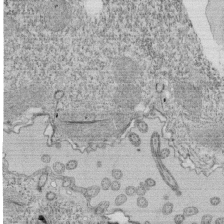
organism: Tetrahymena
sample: Cilia in tetrahymena